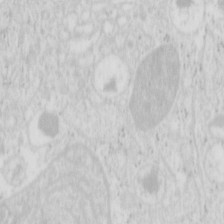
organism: Mouse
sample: Pancreas